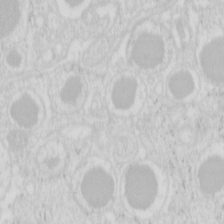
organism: Mouse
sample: Pancreas